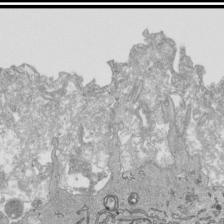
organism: Human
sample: Mitochondria in HCT116 cells